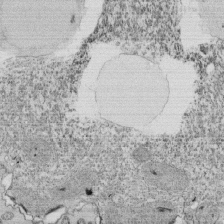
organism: Tetrahymena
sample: Cilia in tetrahymena